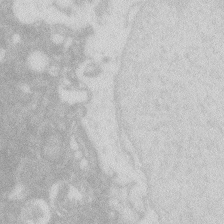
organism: Zebrafish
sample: Macrophage